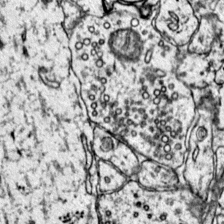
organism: Mouse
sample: Primary visual cortex